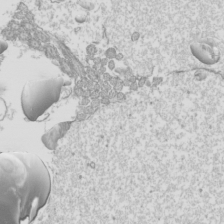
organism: Mouse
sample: Cilia; mouse epididymis